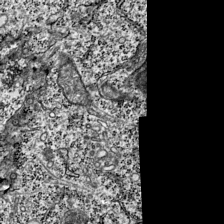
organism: Mouse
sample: Visual Cortex